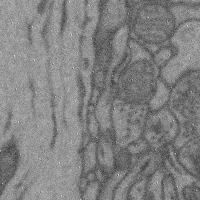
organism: Mouse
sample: Cerebral cortex